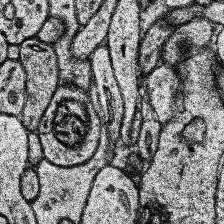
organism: Human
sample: Temporal Lobe